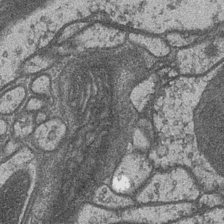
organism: Drosophila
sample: Optic medulla